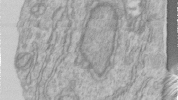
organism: Human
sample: Centriole in RPE cells